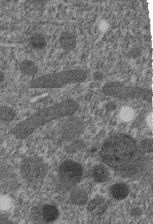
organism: C. elegans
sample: C. elegans embryo early stage